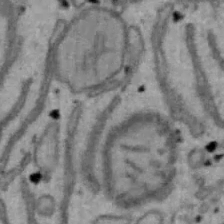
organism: Mouse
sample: Liver